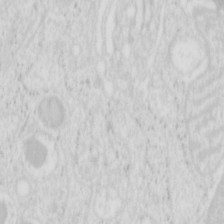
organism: Mouse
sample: Pancreas